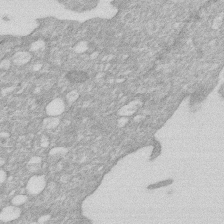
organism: Human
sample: HIV infected U937 cells